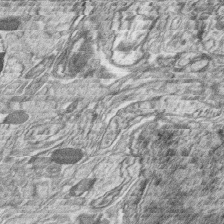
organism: Zebrafish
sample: synaptic ribbons in rod cells and cone cells